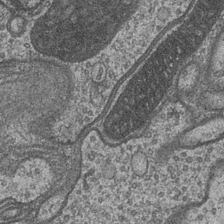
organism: Drosophila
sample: Optic medulla